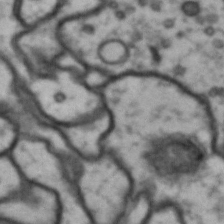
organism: Drosophila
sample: Brain